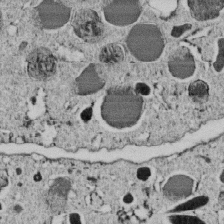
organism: C. elegans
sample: C. elegans embryo early stage